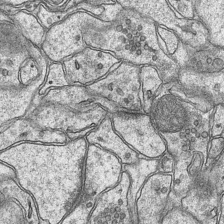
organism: Mouse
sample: CA1 Hippocampus